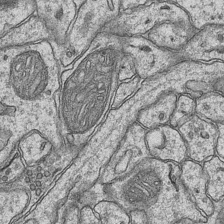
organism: Mouse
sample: CA1 Hippocampus